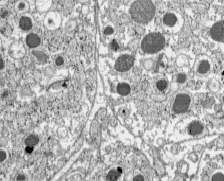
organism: C57BL Mouse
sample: Pancreatic islet